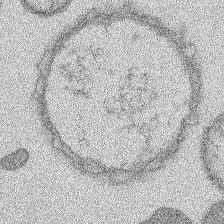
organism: Human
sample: HeLa cells